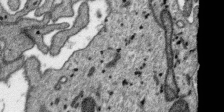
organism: Human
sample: Lung epithelial cells, uninfected (mock) control